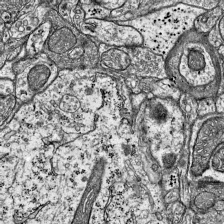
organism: Mouse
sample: Visual Cortex